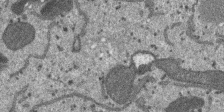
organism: Human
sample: Lung epithelial cells infected with SARS-CoV-2